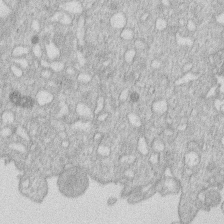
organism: Human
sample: Macrophage cells